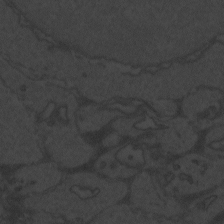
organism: Zebrafish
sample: Macrophage infected with Toxoplasma gondii